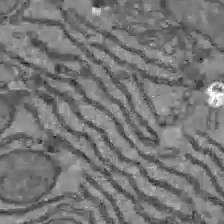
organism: C57BL Mouse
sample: Liver